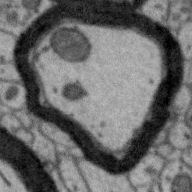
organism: Zebra finch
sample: Brain